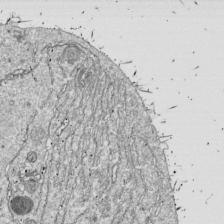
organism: Drosophila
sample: Cell division; meiosis; drosophila spermatocytes